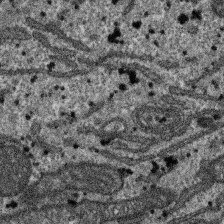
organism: Human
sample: Lung epithelial cells infected with SARS-CoV-2